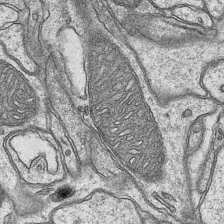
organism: Mouse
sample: CA1 Hippocampus